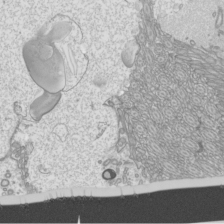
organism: Mouse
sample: Cilia; mouse epididymis